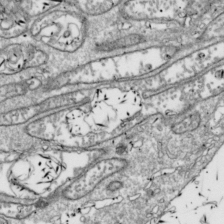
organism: Drosophila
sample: Cell division; meiosis; drosophila spermatocytes